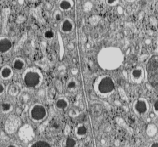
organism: C57BL Mouse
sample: Pancreatic islet